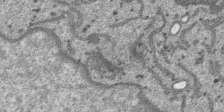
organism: Human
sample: Lung epithelial cells infected with SARS-CoV-2